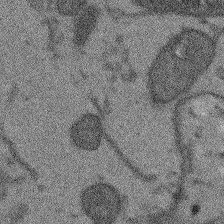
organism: Arabidopsis thaliana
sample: Root tip